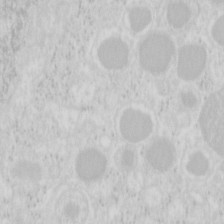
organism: Mouse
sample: Pancreas